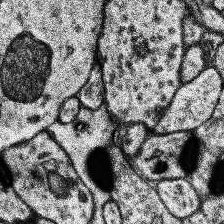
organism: Human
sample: Temporal Lobe